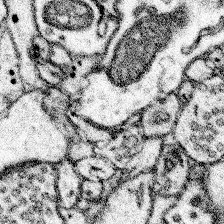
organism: Mouse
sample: Somatosensory cortex neuropil